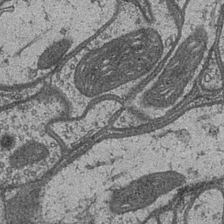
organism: Drosophila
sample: Optic medulla